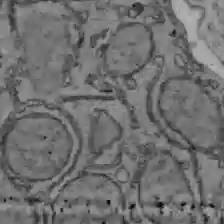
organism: C57BL Mouse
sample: Liver